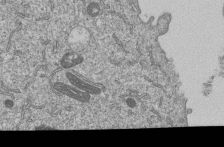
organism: Human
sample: MDA-MB-231 cells